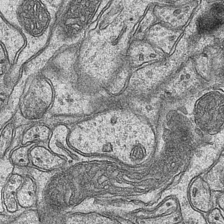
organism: Mouse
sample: CA1 Hippocampus